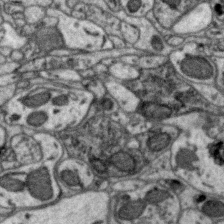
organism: Zebra finch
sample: Brain